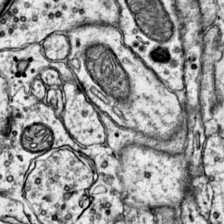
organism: Mouse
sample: Primary visual cortex